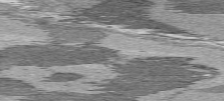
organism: C57BL Mouse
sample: Heart